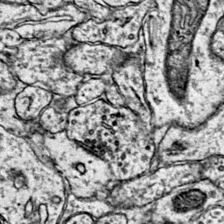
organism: Mouse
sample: Primary visual cortex